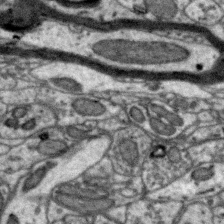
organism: Zebra finch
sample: Brain